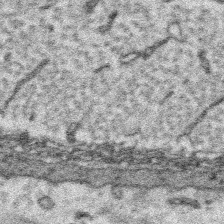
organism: Platynereis dumerilii